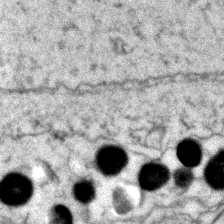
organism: Zebrafish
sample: Zebrafish embryo